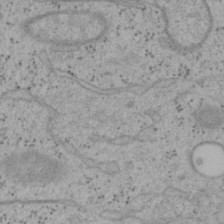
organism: Human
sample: HeLa cells